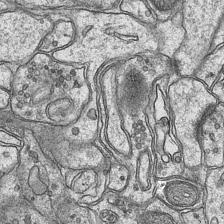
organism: Mouse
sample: CA1 Hippocampus